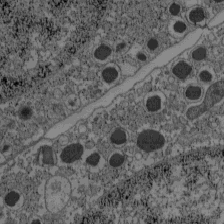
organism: C57BL Mouse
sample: Pancreatic islet